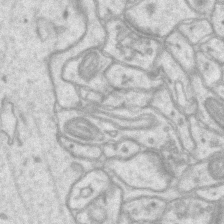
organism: Mouse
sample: CA1 Hippocampus